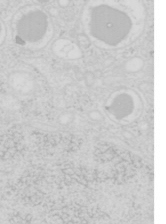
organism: Mouse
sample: Pancreas